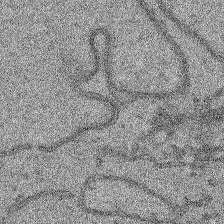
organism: Human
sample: HeLa cells